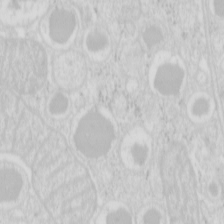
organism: Mouse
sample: Pancreas